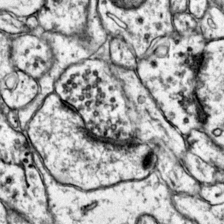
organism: Mouse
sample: Primary visual cortex